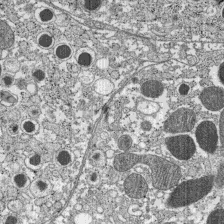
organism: C57BL Mouse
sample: Pancreatic islet